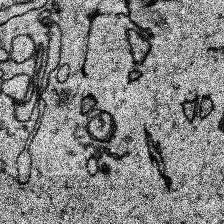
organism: Human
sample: Temporal Lobe